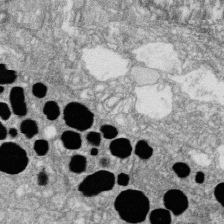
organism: Zebrafish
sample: Cilia; retinal pigment epithelium